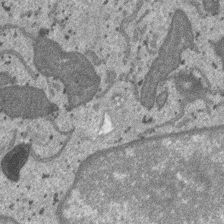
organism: Human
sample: Lung epithelial cells infected with SARS-CoV-2